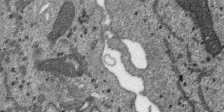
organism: Human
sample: Lung epithelial cells infected with SARS-CoV-2